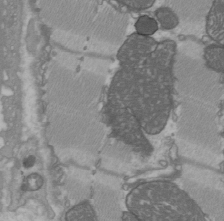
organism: C57BL Mouse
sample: Heart